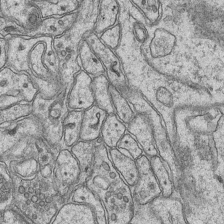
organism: Mouse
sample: CA1 Hippocampus